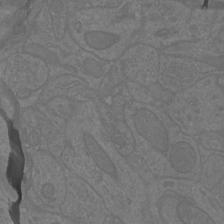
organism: Mouse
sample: Cortical neurons